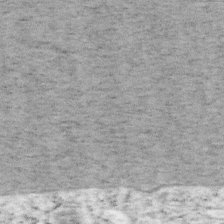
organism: Mouse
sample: OT-I killer T cells with ID8 ovarian cancer cells